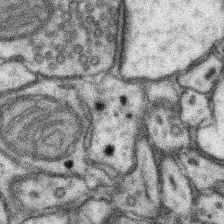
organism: Mouse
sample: Somatosensory cortex neuropil